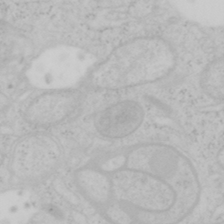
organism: Mouse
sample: OT-I killer T cells with ID8 ovarian cancer cells